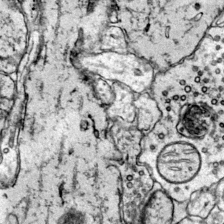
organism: Mouse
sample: Primary visual cortex